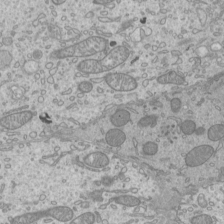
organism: Mouse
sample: Cilia; mouse epididymis